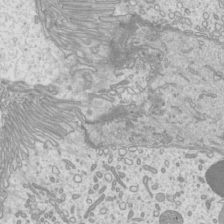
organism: Mouse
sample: Cilia; mouse epididymis